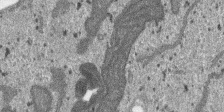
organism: Human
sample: Lung epithelial cells infected with SARS-CoV-2